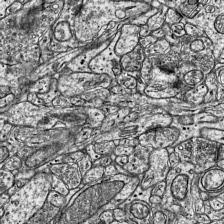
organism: Mouse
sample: Visual Cortex